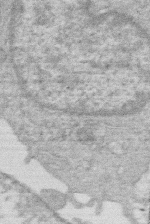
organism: Human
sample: Macrophage cells